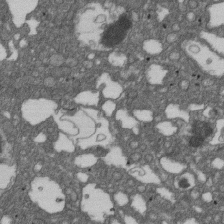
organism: Drosophila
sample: Nephrocyte